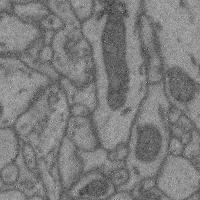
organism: Mouse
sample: Cerebral cortex